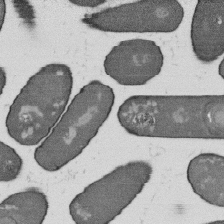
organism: B. subtilis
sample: Bacterial spore